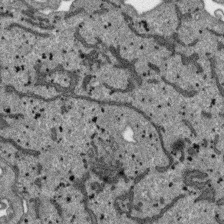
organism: Human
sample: Lung epithelial cells, uninfected (mock) control